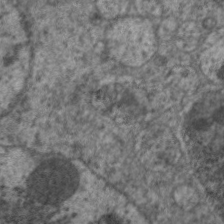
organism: C. elegans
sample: Pharynx